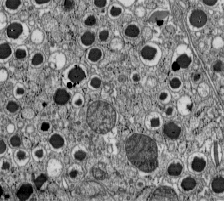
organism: C57BL Mouse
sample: Pancreatic islet